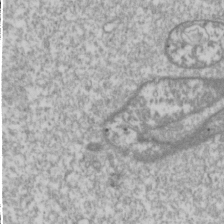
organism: Drosophila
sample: Cell division; meiosis; drosophila spermatocytes